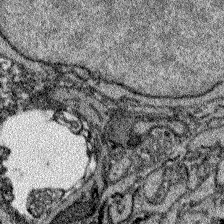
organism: Zebrafish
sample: Larval olfactory bulb